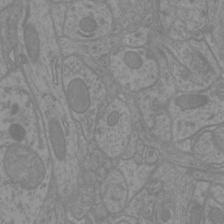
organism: Mouse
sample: Cortical neurons